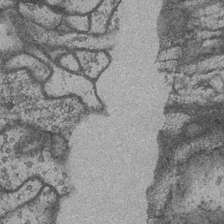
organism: Drosophila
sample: Optic medulla